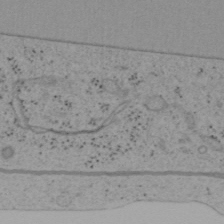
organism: Human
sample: HeLa cells